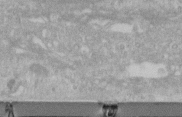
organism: Human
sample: Centriole in RPE cells